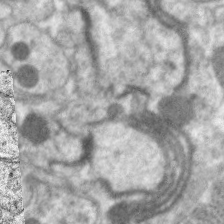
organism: C. elegans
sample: Pharynx